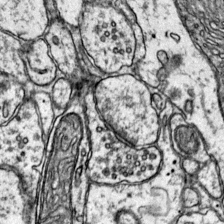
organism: Mouse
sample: Primary visual cortex